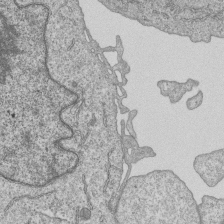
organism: Human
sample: MDA-MB-231 cells